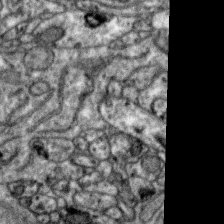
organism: Zebra finch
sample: Brain